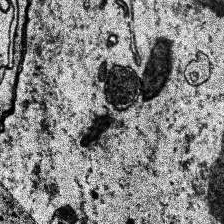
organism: Human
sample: Temporal Lobe